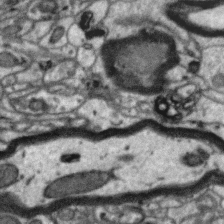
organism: Zebra finch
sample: Brain